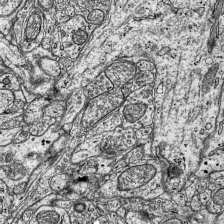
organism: Mouse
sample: Visual Cortex